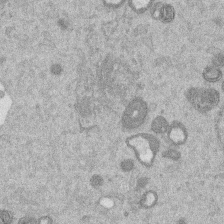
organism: Mouse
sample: Dividing mouse embryo 1 cell stage